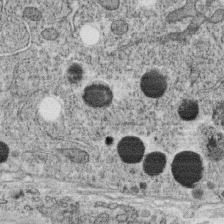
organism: C. elegans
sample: C. elegans oocyte; sperm cells